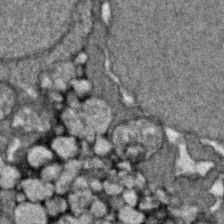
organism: Zebrafish